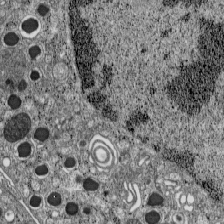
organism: C57BL Mouse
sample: Pancreatic islet